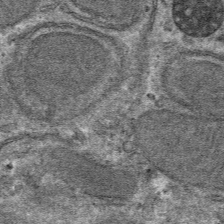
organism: Mouse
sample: Mouse hepatocytes